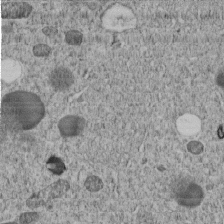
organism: C. elegans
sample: C. elegans embryo early stage